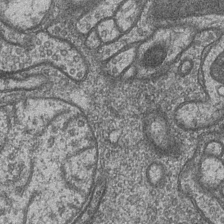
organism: Drosophila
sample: Optic medulla